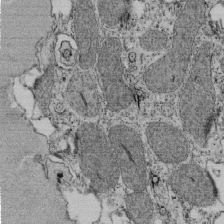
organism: Tetrahymena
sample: Cilia in tetrahymena